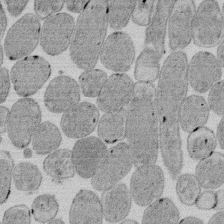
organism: E. coli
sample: Bacterial nucleoid